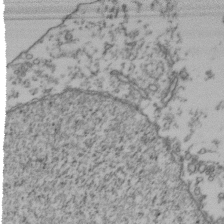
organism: Human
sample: Activated Jurkat CD4+ T cells